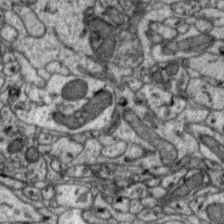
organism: Zebra finch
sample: Brain